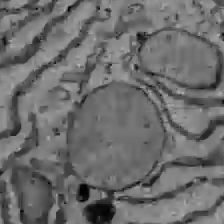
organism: C57BL Mouse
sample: Liver